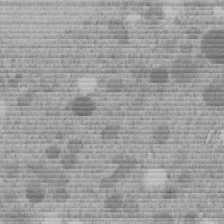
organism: C. elegans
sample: C. elegans embryo early stage